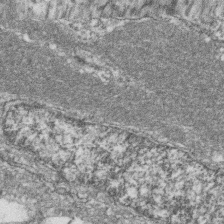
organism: Zebrafish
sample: Cilia; retinal pigment epithelium